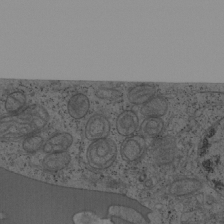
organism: Human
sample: HeLa cells